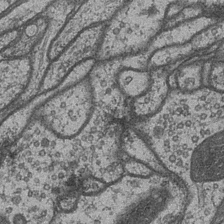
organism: Drosophila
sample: Optic medulla